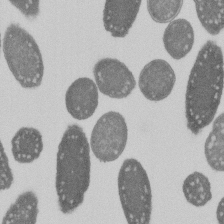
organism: E. coli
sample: Bacterial nucleoid